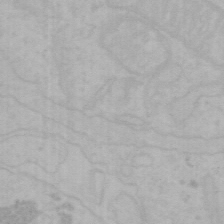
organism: Mouse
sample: Choroid plexus